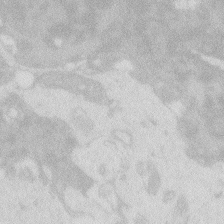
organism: Zebrafish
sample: Macrophage